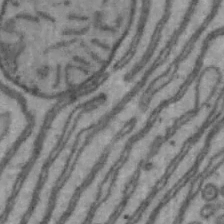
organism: Mouse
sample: Liver